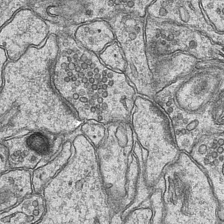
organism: Mouse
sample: CA1 Hippocampus